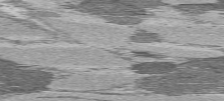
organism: C57BL Mouse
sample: Heart